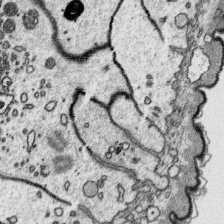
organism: Platynereis dumerilii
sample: Parapodia